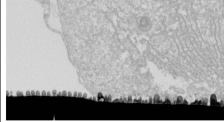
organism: Drosophila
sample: Cell division; meiosis; drosophila spermatocytes